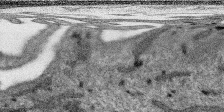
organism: Human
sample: Lung epithelial cells infected with SARS-CoV-2